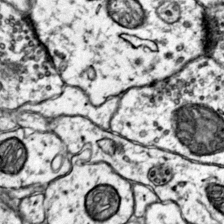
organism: Mouse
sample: Primary visual cortex